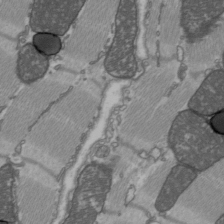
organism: C57BL Mouse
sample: Heart